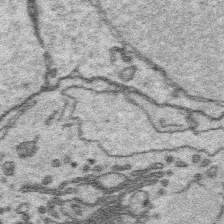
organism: Platynereis dumerilii